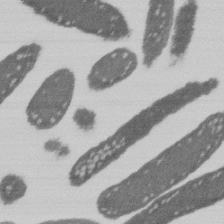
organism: E. coli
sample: Bacterial nucleoid